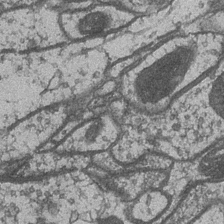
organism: Drosophila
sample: Optic medulla